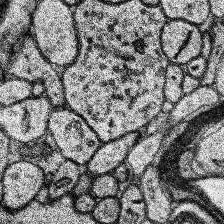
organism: Human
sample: Temporal Lobe